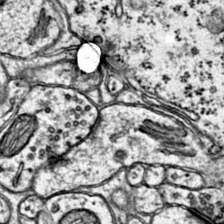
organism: Mouse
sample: Primary visual cortex